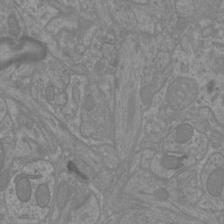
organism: Mouse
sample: Cortical neurons